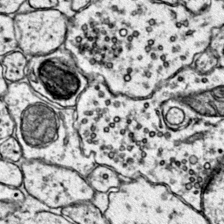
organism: Mouse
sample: Primary visual cortex